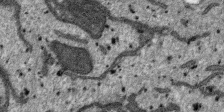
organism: Human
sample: Lung epithelial cells, uninfected (mock) control